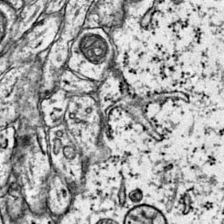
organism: Mouse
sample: Primary visual cortex